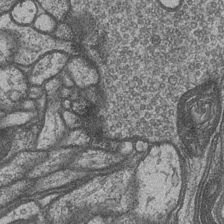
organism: Drosophila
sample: Optic medulla